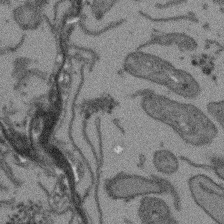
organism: Arabidopsis thaliana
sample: Root tip